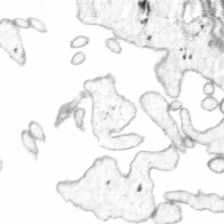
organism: Human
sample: HeLa cells